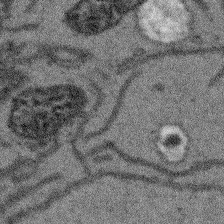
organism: Arabidopsis thaliana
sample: Root tip